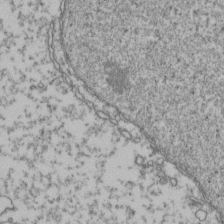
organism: Human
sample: Activated Jurkat CD4+ T cells